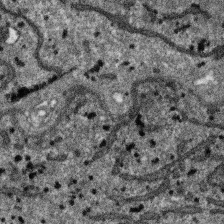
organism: Human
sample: Lung epithelial cells infected with SARS-CoV-2